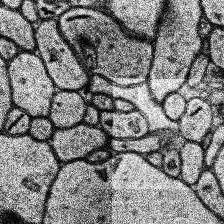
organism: Human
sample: Temporal Lobe